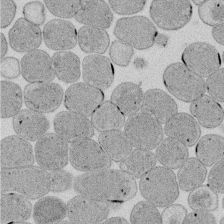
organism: E. coli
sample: Bacterial nucleoid